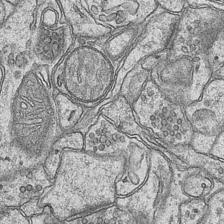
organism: Mouse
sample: CA1 Hippocampus